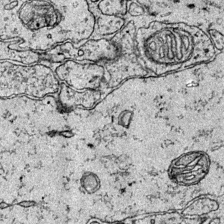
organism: Mouse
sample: Primary visual cortex